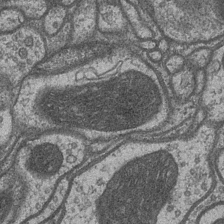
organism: Drosophila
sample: Optic medulla